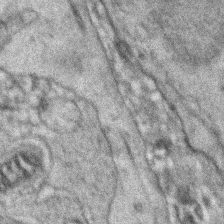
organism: Zebrafish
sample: Zebrafish embryo